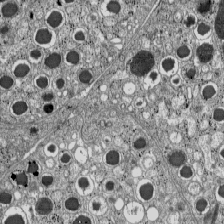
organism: C57BL Mouse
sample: Pancreatic islet